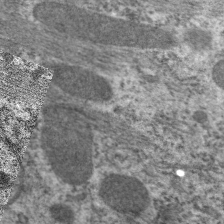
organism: C. elegans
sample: Pharynx